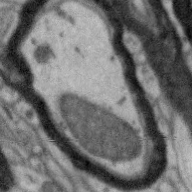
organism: Zebra finch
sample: Brain